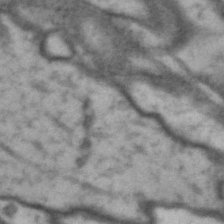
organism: Drosophila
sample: Brain